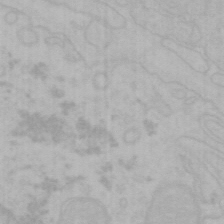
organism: Mouse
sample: Choroid plexus